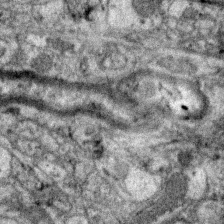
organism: Zebra finch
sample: Brain